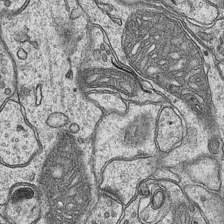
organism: Mouse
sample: CA1 Hippocampus